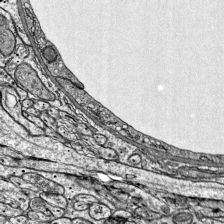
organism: Mouse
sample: Visual Cortex